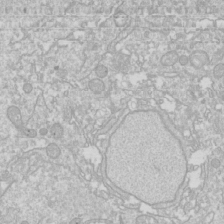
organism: Drosophila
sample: Cell division; meiosis; drosophila spermatocytes